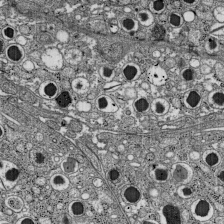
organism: C57BL Mouse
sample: Pancreatic islet